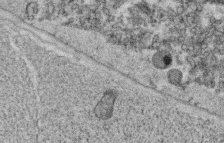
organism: C. elegans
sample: C. elegans oocyte; sperm cells